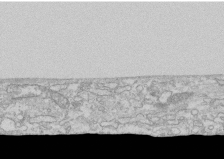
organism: Human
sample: CRL-1474